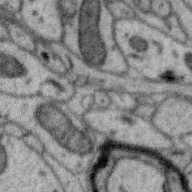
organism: Zebra finch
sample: Brain